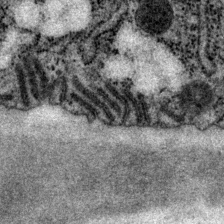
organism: P. pacificus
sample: Pharynx